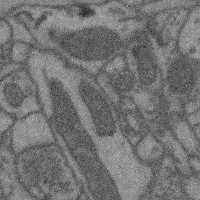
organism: Mouse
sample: Cerebral cortex